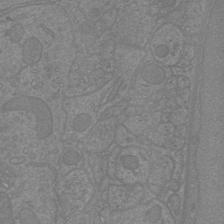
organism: Mouse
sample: Cortical neurons